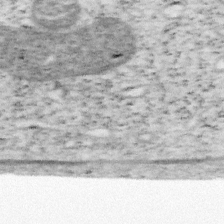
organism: Mouse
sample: OT-I killer T cells with ID8 ovarian cancer cells